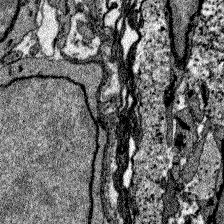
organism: Zebrafish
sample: Larval olfactory bulb